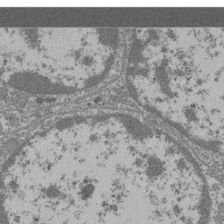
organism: Mouse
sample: Glomerulus